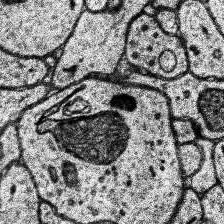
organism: Human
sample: Temporal Lobe